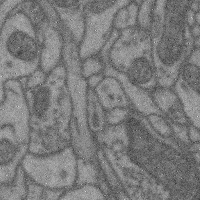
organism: Mouse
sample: Cerebral cortex